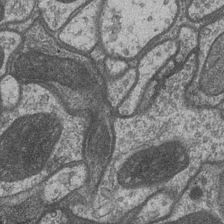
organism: Drosophila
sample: Optic medulla